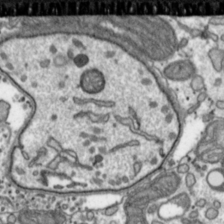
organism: Toxoplasma gondii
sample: Parasites in a vacuole inside a host cell